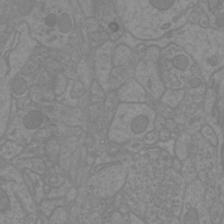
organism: Mouse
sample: Cortical neurons